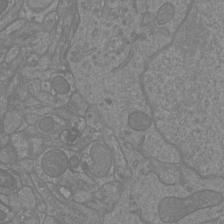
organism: Mouse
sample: Cortical neurons